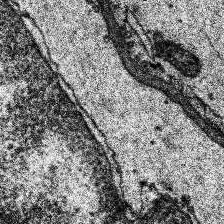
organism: Human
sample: Temporal Lobe